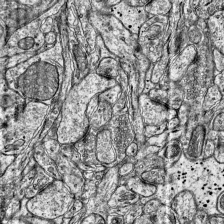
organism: Mouse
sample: Visual Cortex